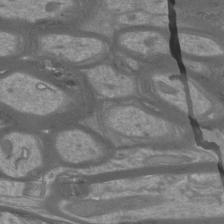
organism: Mouse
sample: Cortical neurons